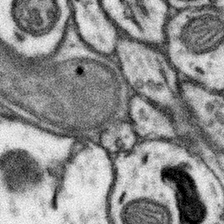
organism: Mouse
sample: Somatosensory cortex neuropil